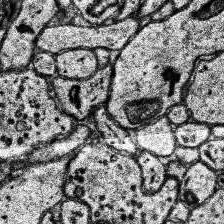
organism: Human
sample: Temporal Lobe